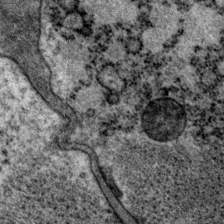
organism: P. pacificus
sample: Pharynx